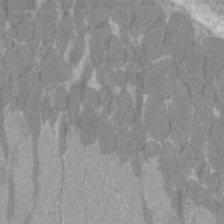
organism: C57BL Mouse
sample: Tibialis anterior muscle cell